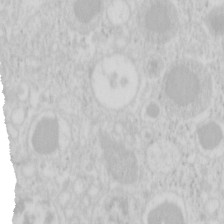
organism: Mouse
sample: Pancreas